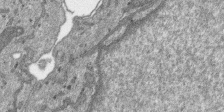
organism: Human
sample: Lung epithelial cells infected with SARS-CoV-2